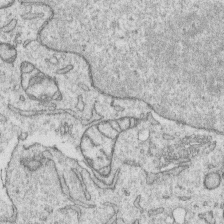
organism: Human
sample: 1205lu cells